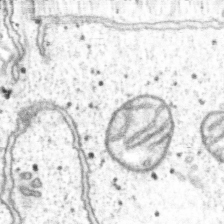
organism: Human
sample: HeLa cells